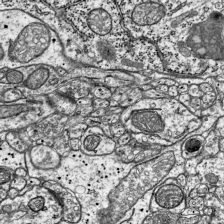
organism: Mouse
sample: Visual Cortex